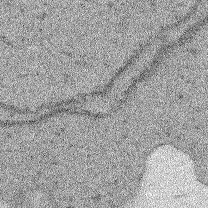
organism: Human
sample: HeLa cells